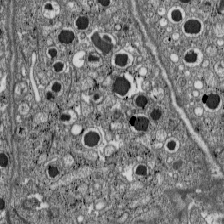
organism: C57BL Mouse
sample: Pancreatic islet